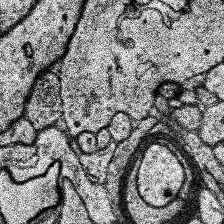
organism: Human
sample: Temporal Lobe